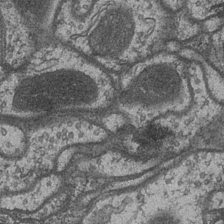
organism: Drosophila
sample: Optic medulla